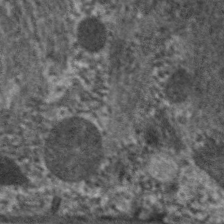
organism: C. elegans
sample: Pharynx